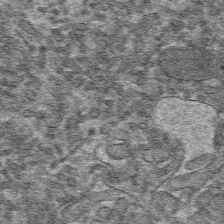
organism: Mouse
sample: Mouse hepatocytes